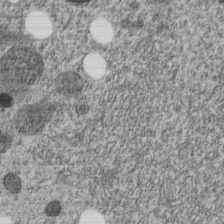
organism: C. elegans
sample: C. elegans embryo early stage